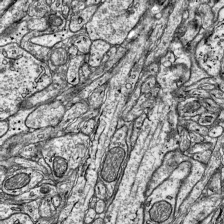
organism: Mouse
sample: Visual Cortex